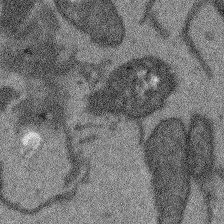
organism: Arabidopsis thaliana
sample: Root tip